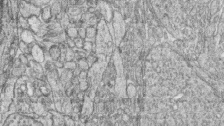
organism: Zebrafish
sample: synaptic ribbons in rod cells and cone cells